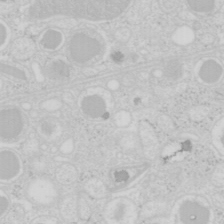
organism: Mouse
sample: Pancreas